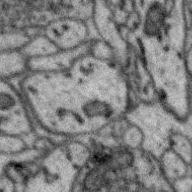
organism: Zebra finch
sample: Brain